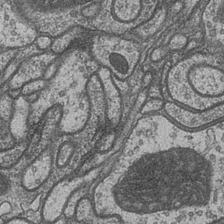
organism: Drosophila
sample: Optic medulla